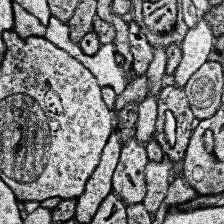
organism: Human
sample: Temporal Lobe